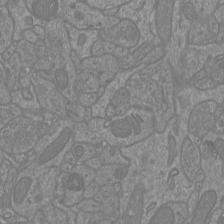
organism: Mouse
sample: Cortical neurons